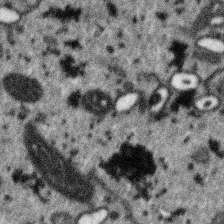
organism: Human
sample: Lung epithelial cells infected with SARS-CoV-2